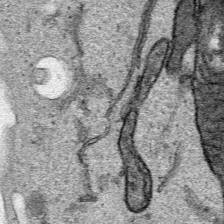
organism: Human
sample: Mitochondria in HCT116 cells